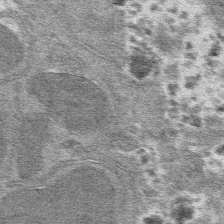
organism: Mouse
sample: Mouse hepatocytes